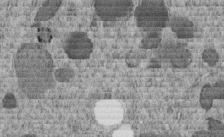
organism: C. elegans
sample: C. elegans embryo early stage